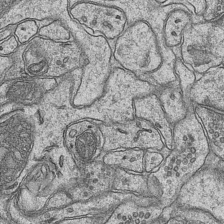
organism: Mouse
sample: CA1 Hippocampus